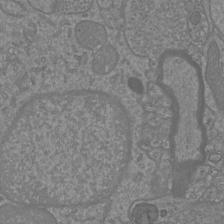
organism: Mouse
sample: Cortical neurons